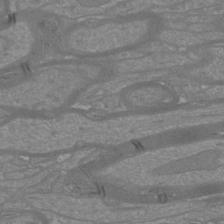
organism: Mouse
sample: Cortical neurons